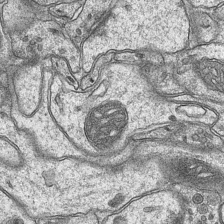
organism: Mouse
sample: CA1 Hippocampus